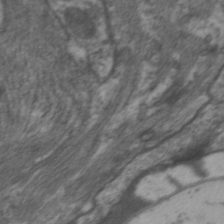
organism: C. elegans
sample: Pharynx